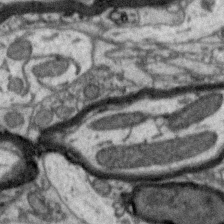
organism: Zebra finch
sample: Brain